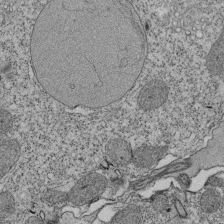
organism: Tetrahymena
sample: Cilia in tetrahymena